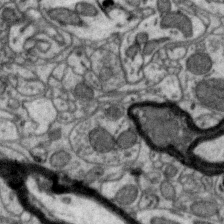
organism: Zebra finch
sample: Brain